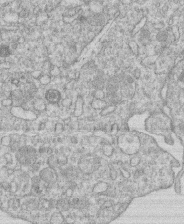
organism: Human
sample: Macrophage cells